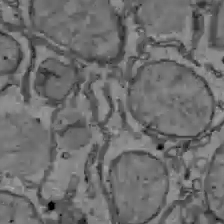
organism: C57BL Mouse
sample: Liver